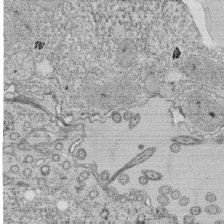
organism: Tetrahymena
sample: Cilia in tetrahymena